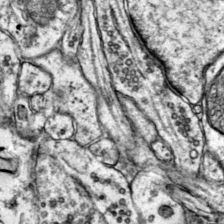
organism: Mouse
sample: Primary visual cortex